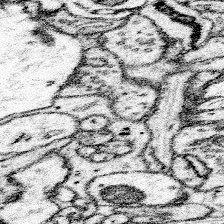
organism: Mouse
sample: Somatosensory cortex neuropil